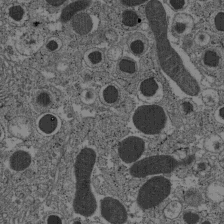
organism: C57BL Mouse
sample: Pancreatic islet